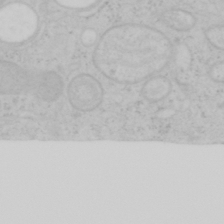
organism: Mouse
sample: OT-I killer T cells with ID8 ovarian cancer cells